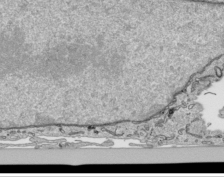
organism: Human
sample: Mitochondria in HCT116 cells